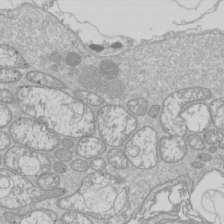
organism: Drosophila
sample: Cell division; meiosis; drosophila spermatocytes